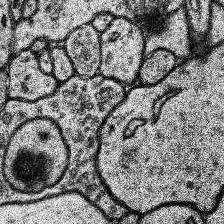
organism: Human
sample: Temporal Lobe